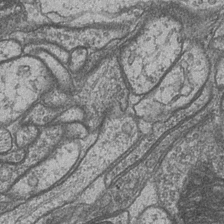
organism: Drosophila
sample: Optic medulla